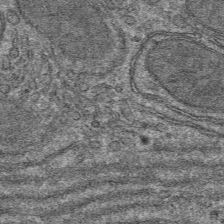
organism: Mouse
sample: Mouse hepatocytes